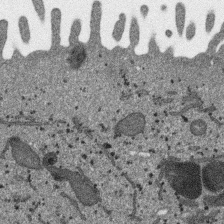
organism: Human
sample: Lung epithelial cells infected with SARS-CoV-2